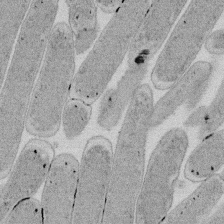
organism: E. coli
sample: Bacterial nucleoid